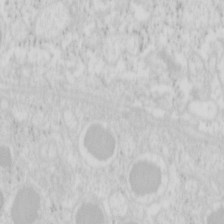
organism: Mouse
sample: Pancreas